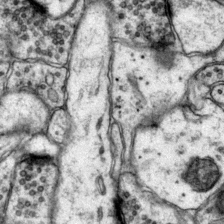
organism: Mouse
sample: Primary visual cortex